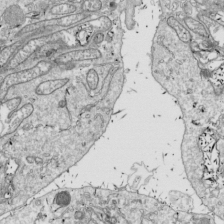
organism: Drosophila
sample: Cell division; meiosis; drosophila spermatocytes